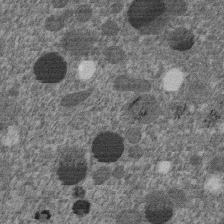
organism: C. elegans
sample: C. elegans embryo early stage